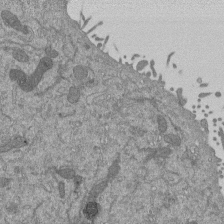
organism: Mouse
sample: ED-1 cell nuclei; centrioles